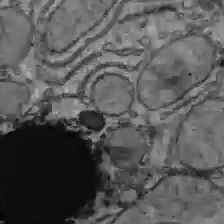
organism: C57BL Mouse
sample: Liver